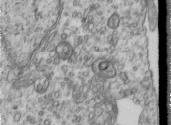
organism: Human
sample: Centriole in RPE cells